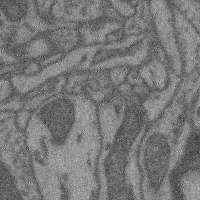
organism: Mouse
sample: Cerebral cortex